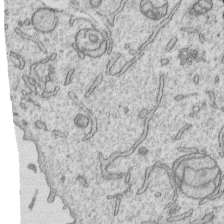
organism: Human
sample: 1205lu cells